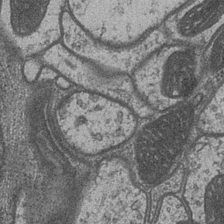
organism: Drosophila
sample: Optic medulla